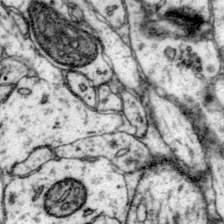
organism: Mouse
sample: Primary visual cortex